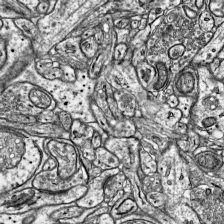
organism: Mouse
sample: Visual Cortex